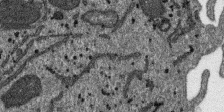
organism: Human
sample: Lung epithelial cells infected with SARS-CoV-2